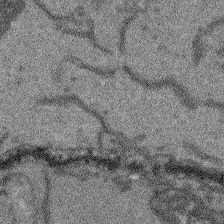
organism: Arabidopsis thaliana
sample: Root tip